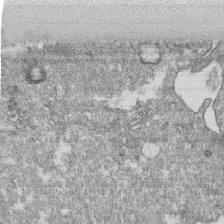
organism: African green monkey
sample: Vero E6 cells infected with SARS-CoV-2